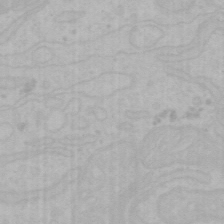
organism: Mouse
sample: Choroid plexus